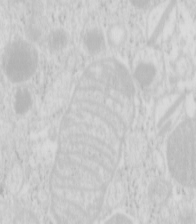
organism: Mouse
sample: Pancreas